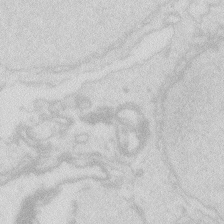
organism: Zebrafish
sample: Macrophage